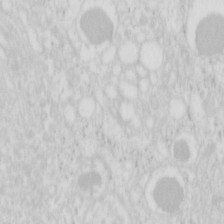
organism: Mouse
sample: Pancreas